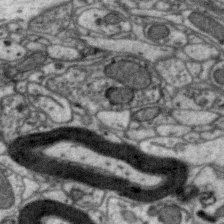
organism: Zebra finch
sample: Brain